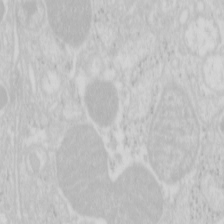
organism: Mouse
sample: Pancreas